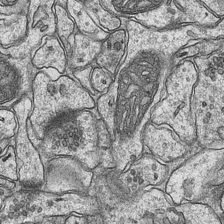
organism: Mouse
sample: CA1 Hippocampus